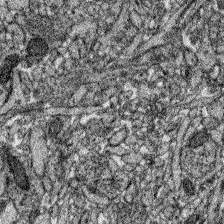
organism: Zebrafish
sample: Larval olfactory bulb